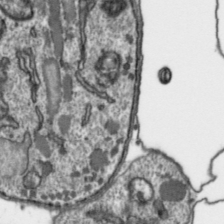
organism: Toxoplasma gondii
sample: Parasites in a vacuole inside a host cell